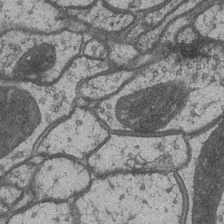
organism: Drosophila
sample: Optic medulla